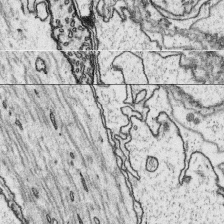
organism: Platynereis dumerilii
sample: Parapodia